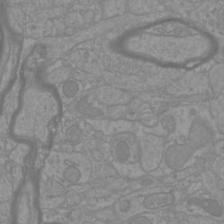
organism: Mouse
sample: Cortical neurons